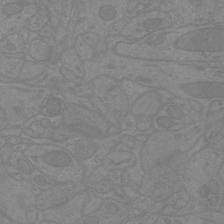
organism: Mouse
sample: Cortical neurons